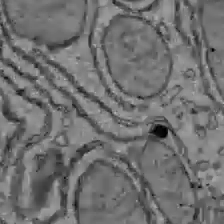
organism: C57BL Mouse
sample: Liver